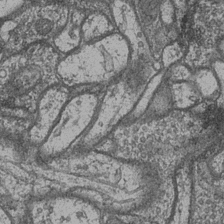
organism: Drosophila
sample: Optic medulla